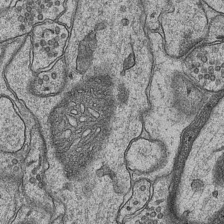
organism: Mouse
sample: CA1 Hippocampus